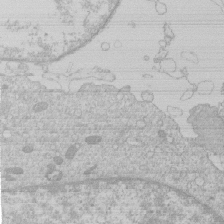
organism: Human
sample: Macrophage cells